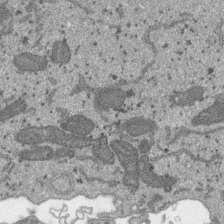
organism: Human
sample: Lung epithelial cells infected with SARS-CoV-2